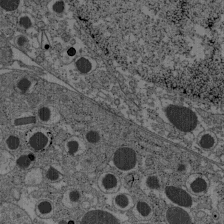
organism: C57BL Mouse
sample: Pancreatic islet